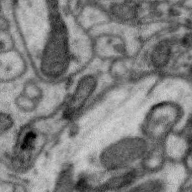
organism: Zebra finch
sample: Brain